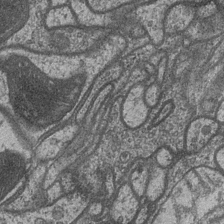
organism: Drosophila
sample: Optic medulla